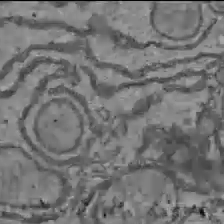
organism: C57BL Mouse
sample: Liver